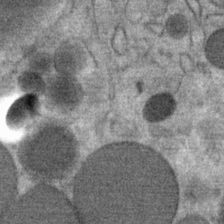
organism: Mouse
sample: Mouse Salivary gland